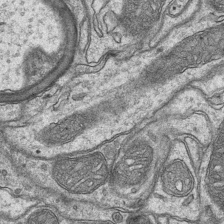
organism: Mouse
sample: CA1 Hippocampus